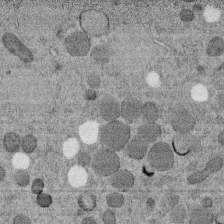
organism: C. elegans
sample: C. elegans embryo early stage